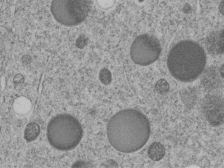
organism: C. elegans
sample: C. elegans embryo early stage